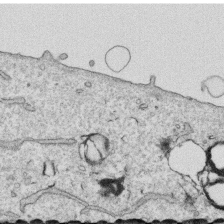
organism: Human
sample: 1205lu cells